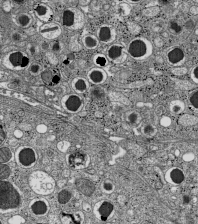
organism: C57BL Mouse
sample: Pancreatic islet